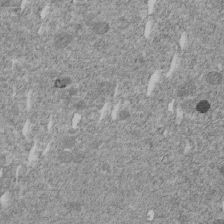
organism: C. elegans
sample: C. elegans embryo early stage